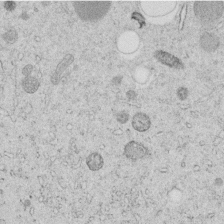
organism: C. elegans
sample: C. elegans embryo early stage